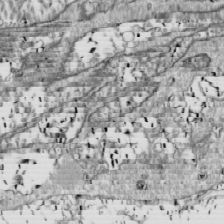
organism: Drosophila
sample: Cell division; meiosis; drosophila spermatocytes